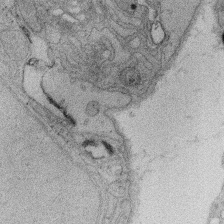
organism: Rat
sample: Salivary granule